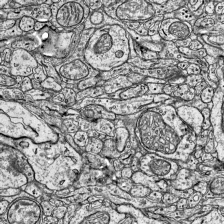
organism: Mouse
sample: Visual Cortex